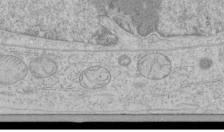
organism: Human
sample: Mitochondria in HCT116 cells